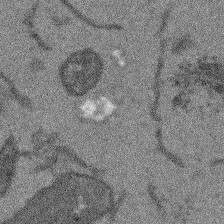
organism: Arabidopsis thaliana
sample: Root tip